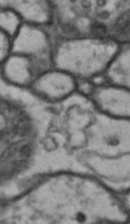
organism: Drosophila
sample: Brain